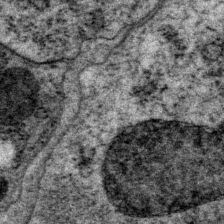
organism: P. pacificus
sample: Pharynx